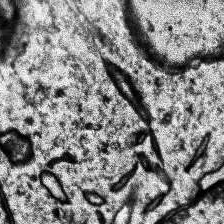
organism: Human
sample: Temporal Lobe